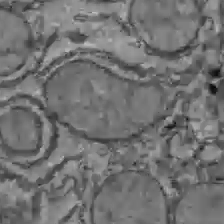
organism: C57BL Mouse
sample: Liver